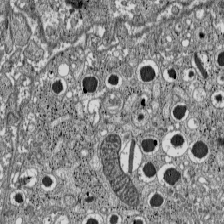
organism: C57BL Mouse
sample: Pancreatic islet